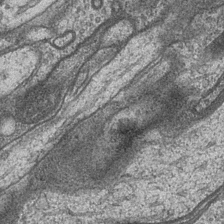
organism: Drosophila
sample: Optic medulla